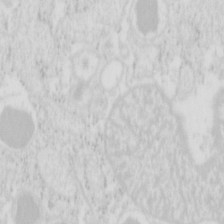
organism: Mouse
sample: Pancreas